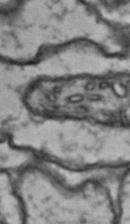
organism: Drosophila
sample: Brain